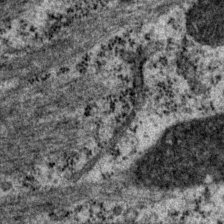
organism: P. pacificus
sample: Pharynx